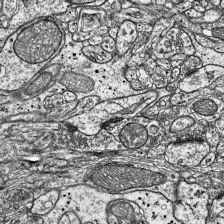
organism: Mouse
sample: Visual Cortex